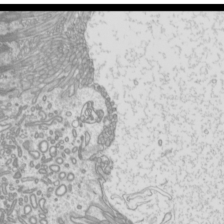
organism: Mouse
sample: Cilia; mouse epididymis